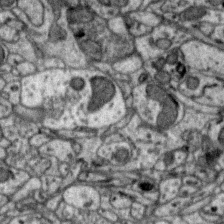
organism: Zebra finch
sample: Brain